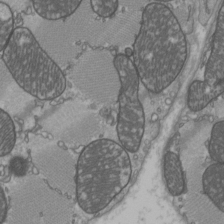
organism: C57BL Mouse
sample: Heart